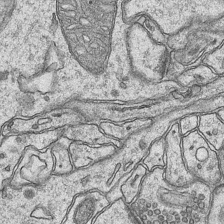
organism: Mouse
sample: CA1 Hippocampus